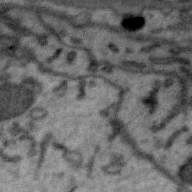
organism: Zebra finch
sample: Brain